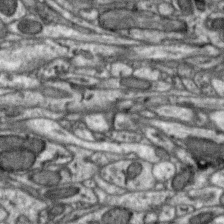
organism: Zebra finch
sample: Brain